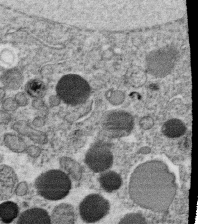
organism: C. elegans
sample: C. elegans oocyte; sperm cells